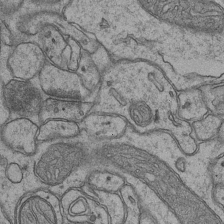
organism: Mouse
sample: CA1 Hippocampus